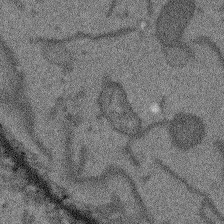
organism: Arabidopsis thaliana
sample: Root tip